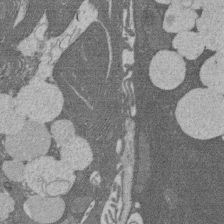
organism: Rat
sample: Salivary granule